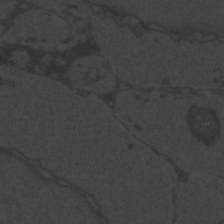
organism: Zebrafish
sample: Macrophage infected with Toxoplasma gondii